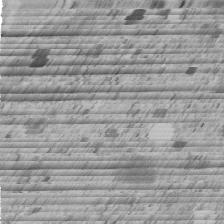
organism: C. elegans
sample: C. elegans embryo early stage